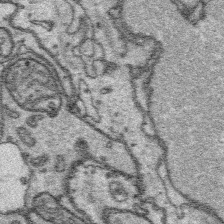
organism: Platynereis dumerilii